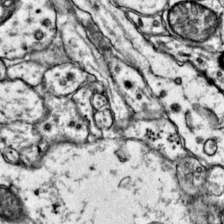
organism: Mouse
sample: Primary visual cortex